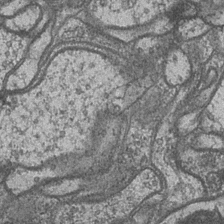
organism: Drosophila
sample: Optic medulla